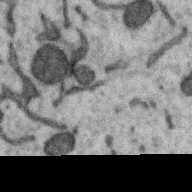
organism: Zebra finch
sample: Brain